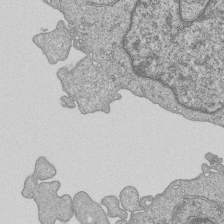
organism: Human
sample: MDA-MB-231 cells